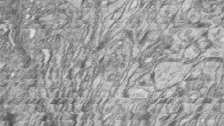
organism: Zebrafish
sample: synaptic ribbons in rod cells and cone cells